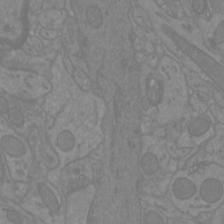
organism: Mouse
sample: Cortical neurons